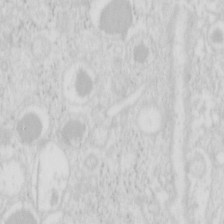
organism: Mouse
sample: Pancreas